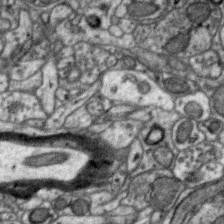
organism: Zebra finch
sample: Brain